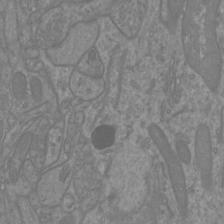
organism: Mouse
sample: Cortical neurons